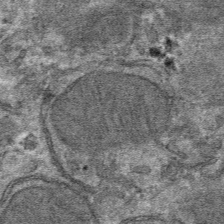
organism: Mouse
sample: Mouse hepatocytes